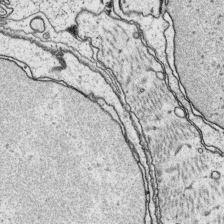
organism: Platynereis dumerilii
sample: Parapodia